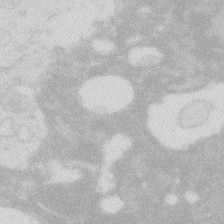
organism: Zebrafish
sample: Macrophage